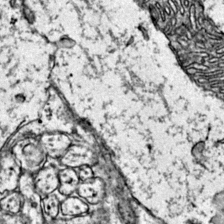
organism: Mouse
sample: Primary visual cortex